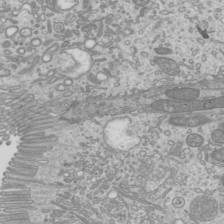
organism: Mouse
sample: Cilia; mouse epididymis